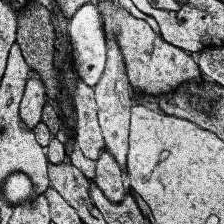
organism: Human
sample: Temporal Lobe